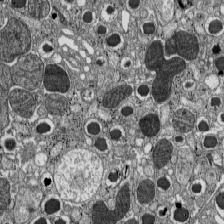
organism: C57BL Mouse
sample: Pancreatic islet